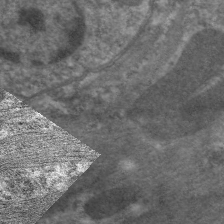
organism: C. elegans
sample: Pharynx